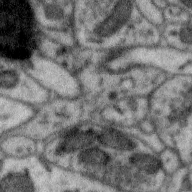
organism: Zebra finch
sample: Brain